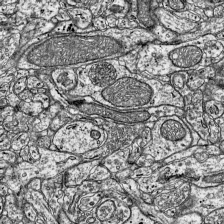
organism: Mouse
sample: Visual Cortex